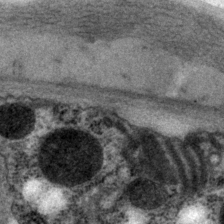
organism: P. pacificus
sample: Pharynx